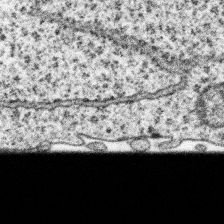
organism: Human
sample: HeLa cells